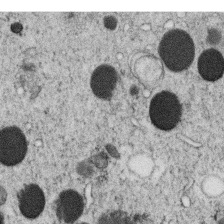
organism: C. elegans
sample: C. elegans oocyte; sperm cells